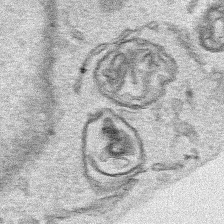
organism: Human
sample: Mitochondria in HCT116 cells